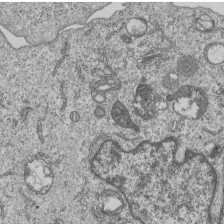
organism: Human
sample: MDA-MB-231 cells